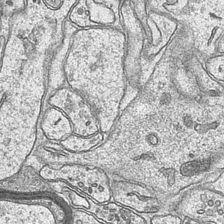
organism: Mouse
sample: CA1 Hippocampus